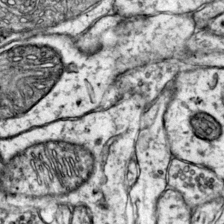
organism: Mouse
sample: Primary visual cortex